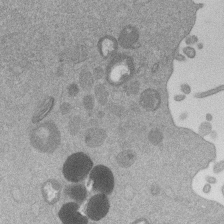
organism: Mouse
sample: Dividing mouse embryo 1 cell stage